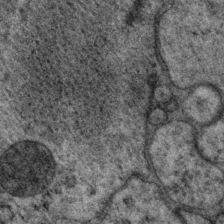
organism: P. pacificus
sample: Pharynx